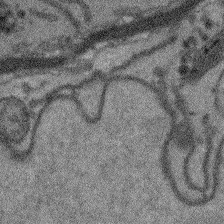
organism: Arabidopsis thaliana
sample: Root tip